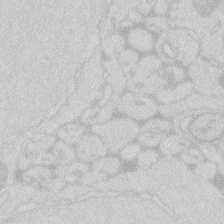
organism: Zebrafish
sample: Macrophage